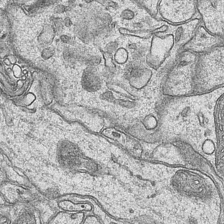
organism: Mouse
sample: CA1 Hippocampus